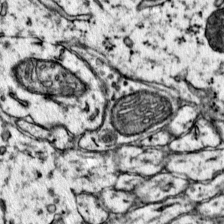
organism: Mouse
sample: Primary visual cortex